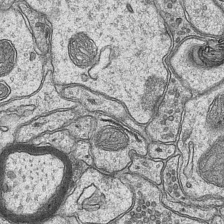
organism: Mouse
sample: CA1 Hippocampus